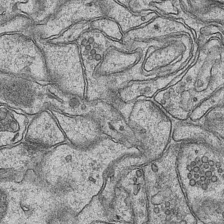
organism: Mouse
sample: CA1 Hippocampus